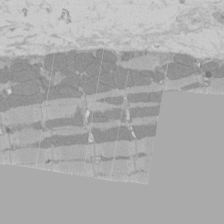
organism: Rat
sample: Left ventricle